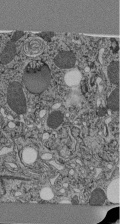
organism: C. elegans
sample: C. elegans pharynx